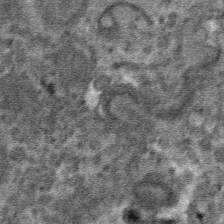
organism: Mouse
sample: Mouse hepatocytes